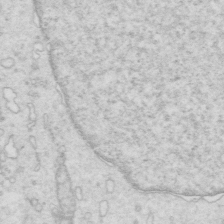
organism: Mouse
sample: Multiciliated cells